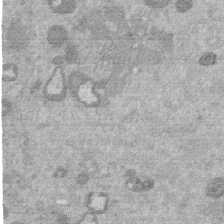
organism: Mouse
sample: Dividing mouse embryo 1 cell stage